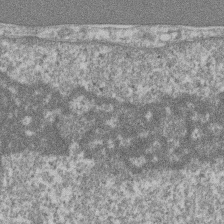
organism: Mouse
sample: T cell stromal cell synapse